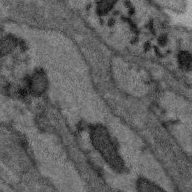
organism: Zebra finch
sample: Brain